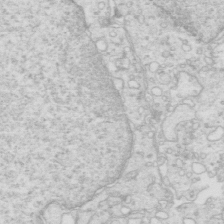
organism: Mouse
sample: Multiciliated cells